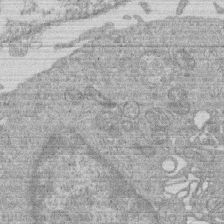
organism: Human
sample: Macrophage cells